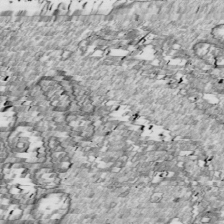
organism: Drosophila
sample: Cell division; meiosis; drosophila spermatocytes